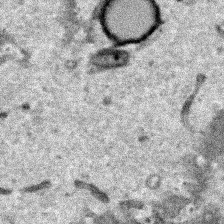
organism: Human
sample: Mitochondria in HCT116 cells